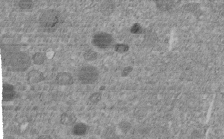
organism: C. elegans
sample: C. elegans embryo early stage